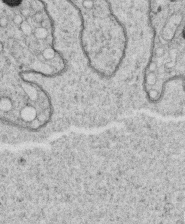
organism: C. elegans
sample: C. elegans oocyte; sperm cells